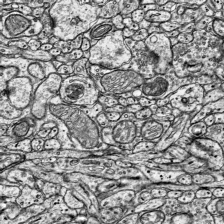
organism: Mouse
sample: Visual Cortex